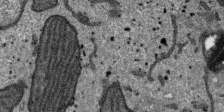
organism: Human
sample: Lung epithelial cells, uninfected (mock) control